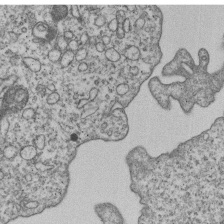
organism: Human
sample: MDA-MB-231 cells